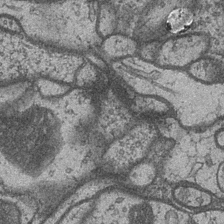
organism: Drosophila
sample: Optic medulla